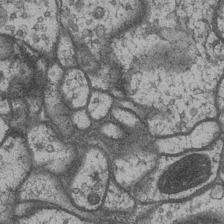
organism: Drosophila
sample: Optic medulla